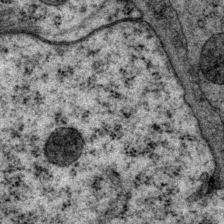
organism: P. pacificus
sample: Pharynx